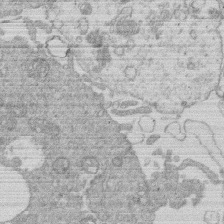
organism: Human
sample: Macrophage cells